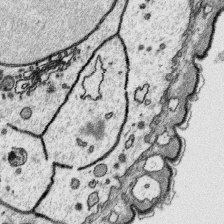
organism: Platynereis dumerilii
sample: Parapodia